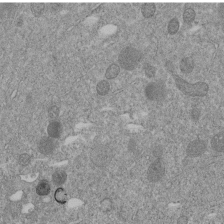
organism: C. elegans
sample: C. elegans embryo early stage